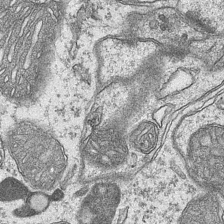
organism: Mouse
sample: CA1 Hippocampus